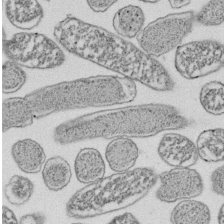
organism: E. coli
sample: Bacterial nucleoid